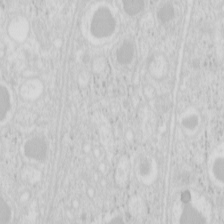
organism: Mouse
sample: Pancreas